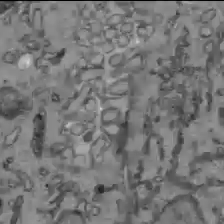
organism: C57BL Mouse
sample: Liver